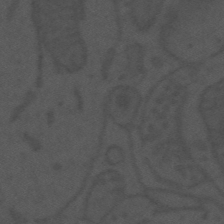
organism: Mouse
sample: Suprachiasmatic nucleus